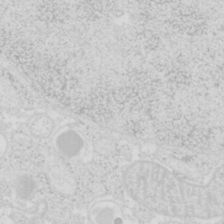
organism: Mouse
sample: Pancreas